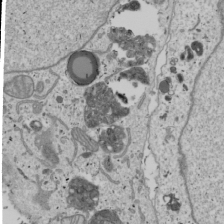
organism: Human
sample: Mitochondria in U2OS cells